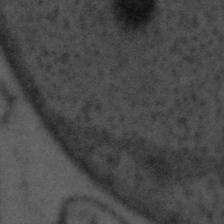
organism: Tuwongella immobilis